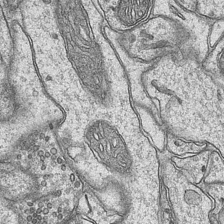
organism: Mouse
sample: CA1 Hippocampus